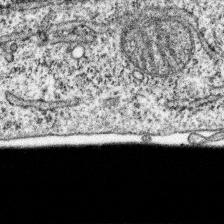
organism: Human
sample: HeLa cells